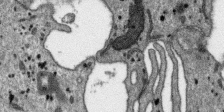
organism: Human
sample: Lung epithelial cells, uninfected (mock) control